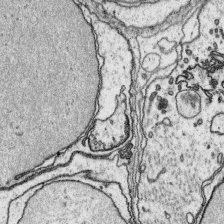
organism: Platynereis dumerilii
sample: Parapodia